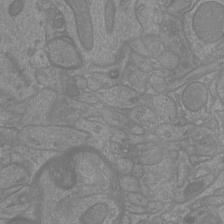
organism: Mouse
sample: Cortical neurons